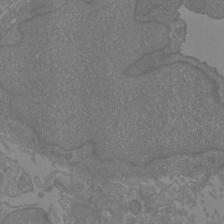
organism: Mouse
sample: Cortical neurons